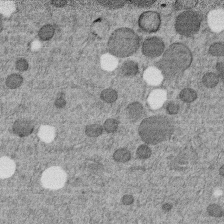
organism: C. elegans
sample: C. elegans embryo early stage